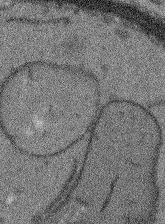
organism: Arabidopsis thaliana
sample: Root tip